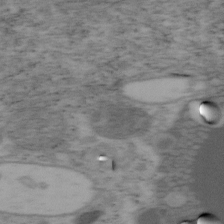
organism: Mouse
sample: OT-I killer T cells with ID8 ovarian cancer cells